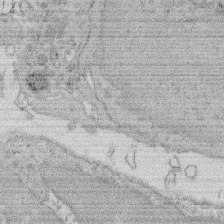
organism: Rat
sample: Salivary granule